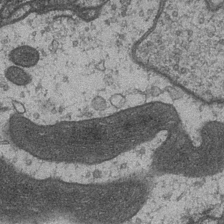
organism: Drosophila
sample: Optic medulla